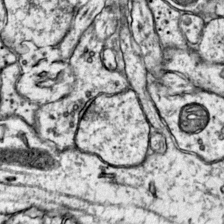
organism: Mouse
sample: Primary visual cortex